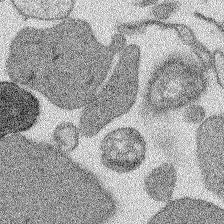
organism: Human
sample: HeLa cells